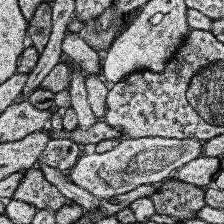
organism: Human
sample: Temporal Lobe